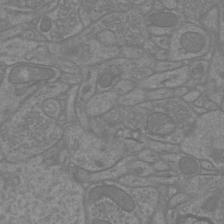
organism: Mouse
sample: Cortical neurons